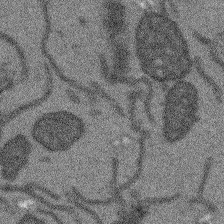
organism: Arabidopsis thaliana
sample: Root tip